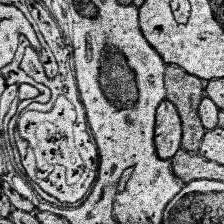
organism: Human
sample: Temporal Lobe